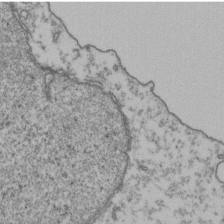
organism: Human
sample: Activated Jurkat CD4+ T cells